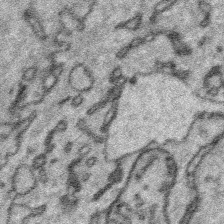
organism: Platynereis dumerilii